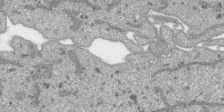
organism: Human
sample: Lung epithelial cells infected with SARS-CoV-2